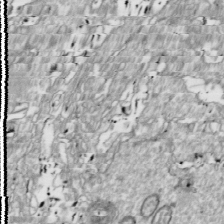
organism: Drosophila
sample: Cell division; meiosis; drosophila spermatocytes